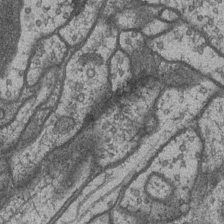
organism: Drosophila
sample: Optic medulla